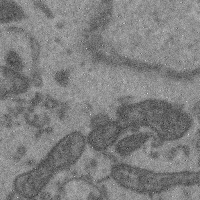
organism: Mouse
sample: Cerebral cortex